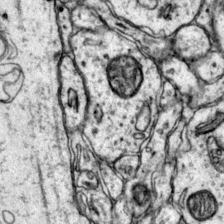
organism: Mouse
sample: Primary visual cortex